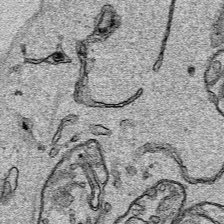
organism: Human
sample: Mitochondria in HCT116 cells